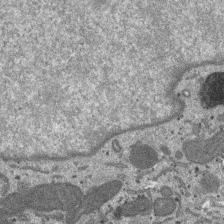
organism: Human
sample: Lung epithelial cells infected with SARS-CoV-2